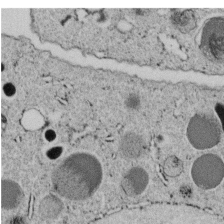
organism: C. elegans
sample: C. elegans embryo early stage